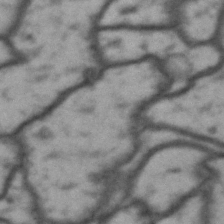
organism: Drosophila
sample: Brain